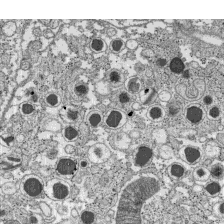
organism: C57BL Mouse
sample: Pancreatic islet